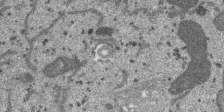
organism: Human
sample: Lung epithelial cells infected with SARS-CoV-2